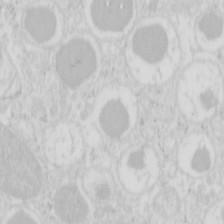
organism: Mouse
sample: Pancreas